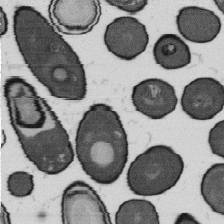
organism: B. subtilis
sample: Bacterial spore